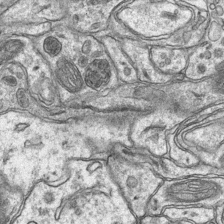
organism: Mouse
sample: CA1 Hippocampus